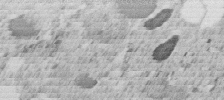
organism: C. elegans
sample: C. elegans embryo early stage